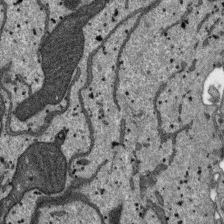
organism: Human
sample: Lung epithelial cells, uninfected (mock) control